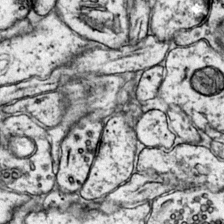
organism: Mouse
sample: Primary visual cortex